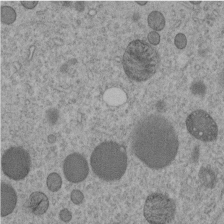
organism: C. elegans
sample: C. elegans embryo early stage